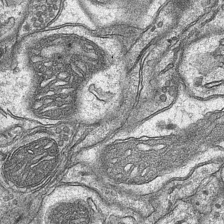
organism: Mouse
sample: CA1 Hippocampus